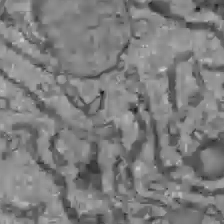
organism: C57BL Mouse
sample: Liver